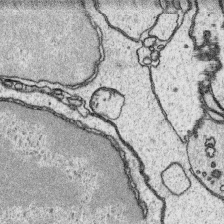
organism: Platynereis dumerilii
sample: Parapodia